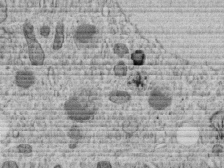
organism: C. elegans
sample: C. elegans embryo early stage